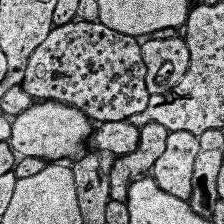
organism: Human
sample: Temporal Lobe